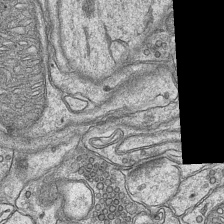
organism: Mouse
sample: CA1 Hippocampus